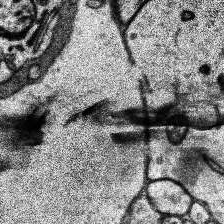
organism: Human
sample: Temporal Lobe